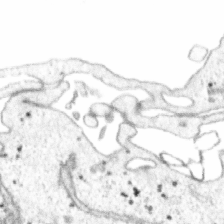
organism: Human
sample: HeLa cells